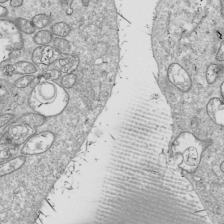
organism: Drosophila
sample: Cell division; meiosis; drosophila spermatocytes